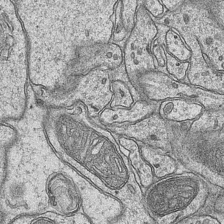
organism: Mouse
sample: CA1 Hippocampus